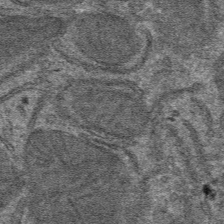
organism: Mouse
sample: Mouse hepatocytes